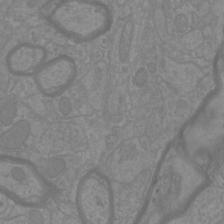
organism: Mouse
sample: Cortical neurons